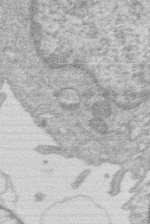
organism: Human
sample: Macrophage cells